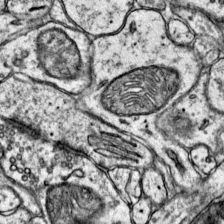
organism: Mouse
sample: Primary visual cortex